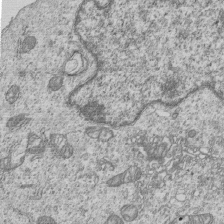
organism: Human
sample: MDA-MB-231 cells